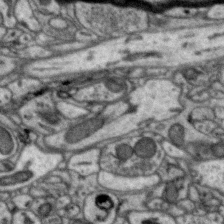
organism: Zebra finch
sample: Brain